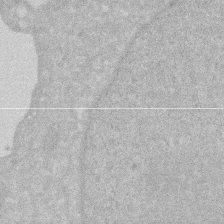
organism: Human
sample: HIV infected U937 cells